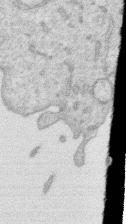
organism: Human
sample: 1205lu cells